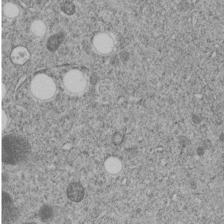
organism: C. elegans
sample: C. elegans embryo early stage